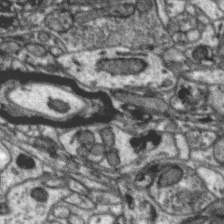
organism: Zebra finch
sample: Brain